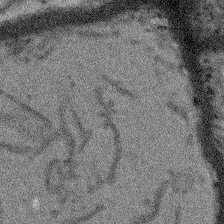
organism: Arabidopsis thaliana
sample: Root tip